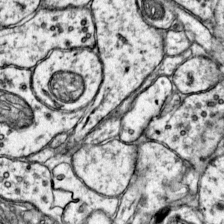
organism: Mouse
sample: Primary visual cortex